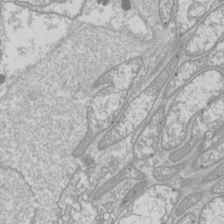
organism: Drosophila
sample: Cell division; meiosis; drosophila spermatocytes